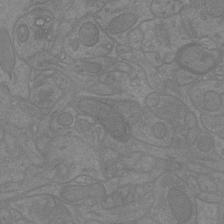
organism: Mouse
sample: Cortical neurons